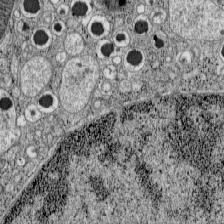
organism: C57BL Mouse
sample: Pancreatic islet